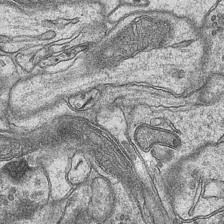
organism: Mouse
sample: CA1 Hippocampus